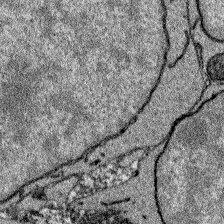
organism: Zebrafish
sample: Larval olfactory bulb